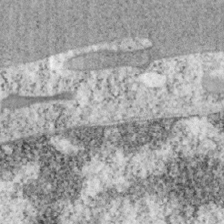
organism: Mouse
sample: OT-I killer T cells with ID8 ovarian cancer cells